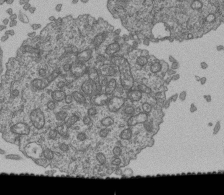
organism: Human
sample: Retinal organoid Rod and Cone cells